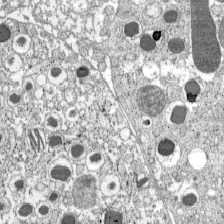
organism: C57BL Mouse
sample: Pancreatic islet